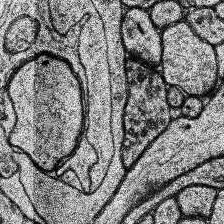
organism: Human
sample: Temporal Lobe